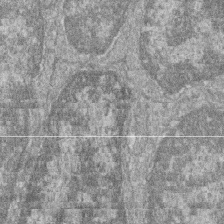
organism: Zebrafish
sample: Cilia; retinal pigment epithelium